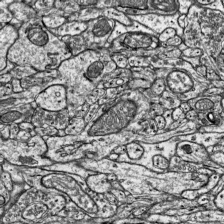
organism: Mouse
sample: Visual Cortex